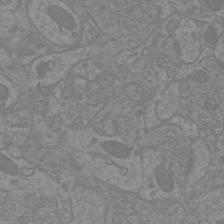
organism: Mouse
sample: Cortical neurons